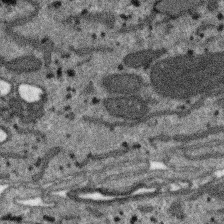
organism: Human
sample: Lung epithelial cells infected with SARS-CoV-2